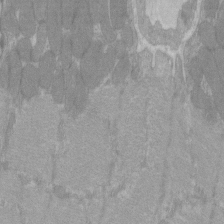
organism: C57BL Mouse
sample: Tibialis anterior muscle cell